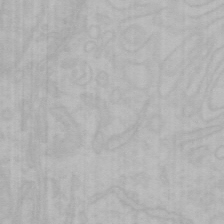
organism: Mouse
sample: Choroid plexus